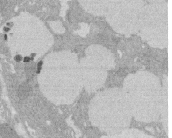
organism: Rat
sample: Salivary granule